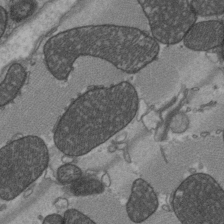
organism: C57BL Mouse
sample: Heart